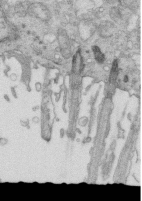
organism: Mouse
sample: Multiciliated cells